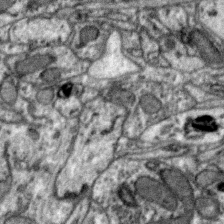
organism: Zebra finch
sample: Brain